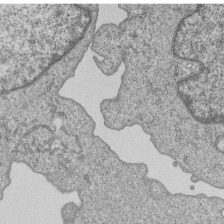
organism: Human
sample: MDA-MB-231 cells